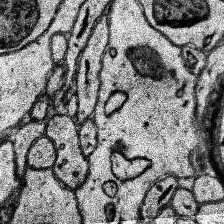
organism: Human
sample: Temporal Lobe